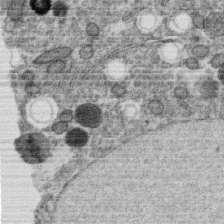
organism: C. elegans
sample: C. elegans oocyte; sperm cells